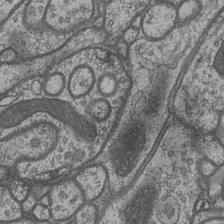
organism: Drosophila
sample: Optic medulla